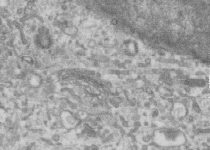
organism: Human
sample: Centriole in RPE cells